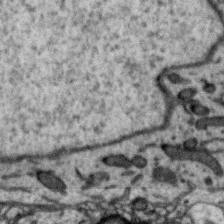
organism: Zebra finch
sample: Brain